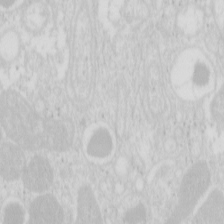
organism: Mouse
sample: Pancreas